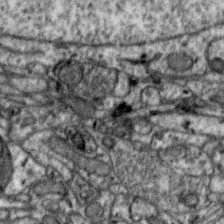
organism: Zebra finch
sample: Brain